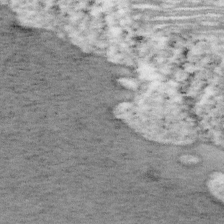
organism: Mouse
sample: OT-I killer T cells with ID8 ovarian cancer cells